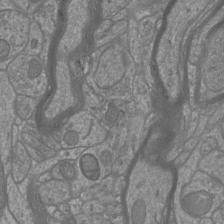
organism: Mouse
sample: Cortical neurons